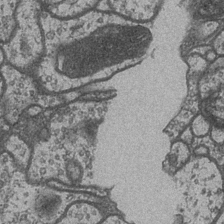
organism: Drosophila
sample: Optic medulla